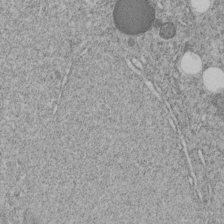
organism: C. elegans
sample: C. elegans embryo early stage